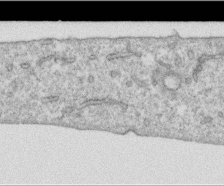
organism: Human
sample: Centriole in RPE cells